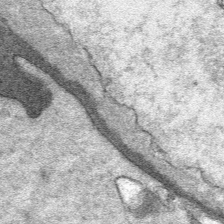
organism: Mouse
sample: Mouse Salivary gland